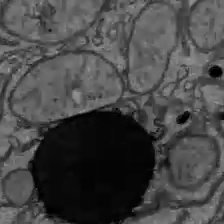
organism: C57BL Mouse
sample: Liver